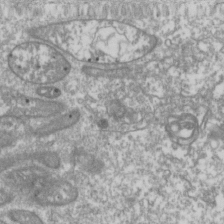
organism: Drosophila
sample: Cell division; meiosis; drosophila spermatocytes